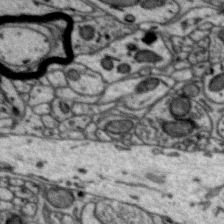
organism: Zebra finch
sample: Brain